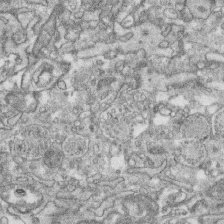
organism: Human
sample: CRL-1474